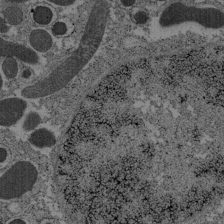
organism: C57BL Mouse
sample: Pancreatic islet